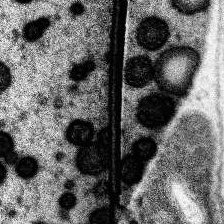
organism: Human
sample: Temporal Lobe